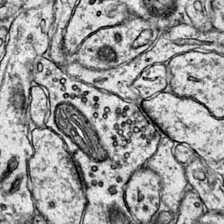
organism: Mouse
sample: Primary visual cortex